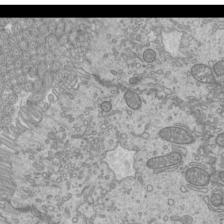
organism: Mouse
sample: Cilia; mouse epididymis